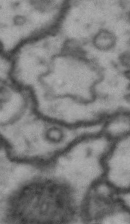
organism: Drosophila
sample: Brain